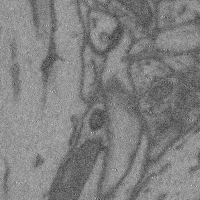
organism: Mouse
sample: Cerebral cortex